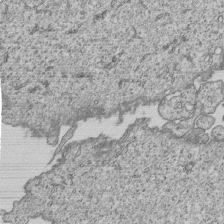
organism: Human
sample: MDA-MB-231 cells